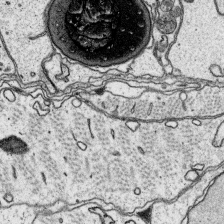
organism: Platynereis dumerilii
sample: Parapodia